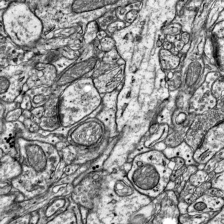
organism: Mouse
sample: Visual Cortex